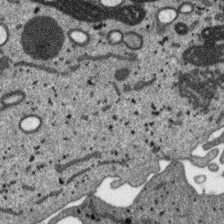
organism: Human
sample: Lung epithelial cells infected with SARS-CoV-2